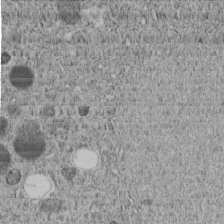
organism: C. elegans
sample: C. elegans embryo early stage